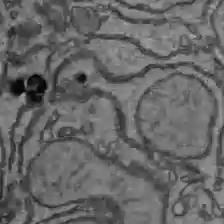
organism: C57BL Mouse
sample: Liver